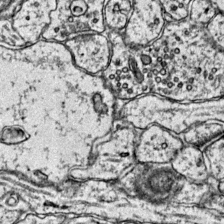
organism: Mouse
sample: Primary visual cortex